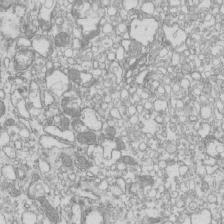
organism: Mouse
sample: Macrophages